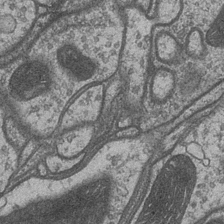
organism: Drosophila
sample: Optic medulla